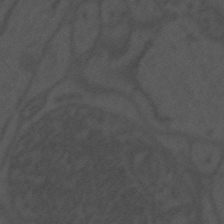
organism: Mouse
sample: Suprachiasmatic nucleus